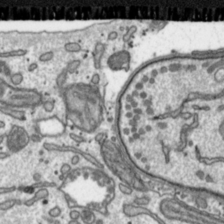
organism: Toxoplasma gondii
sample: Parasites in a vacuole inside a host cell